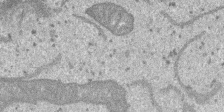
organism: Human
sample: Lung epithelial cells infected with SARS-CoV-2